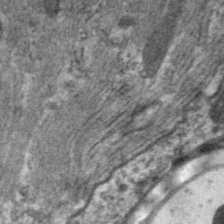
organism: C. elegans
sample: Pharynx